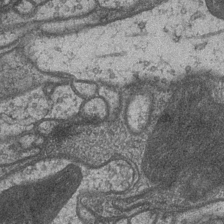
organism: Drosophila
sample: Optic medulla